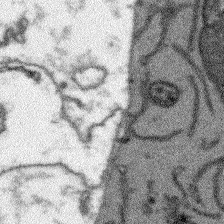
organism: Arabidopsis thaliana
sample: Root tip